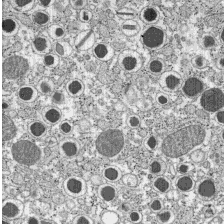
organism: C57BL Mouse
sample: Pancreatic islet